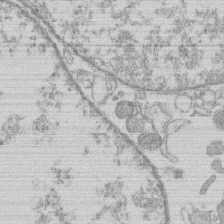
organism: Human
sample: Macrophage cells